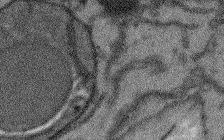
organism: Arabidopsis thaliana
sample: Root tip